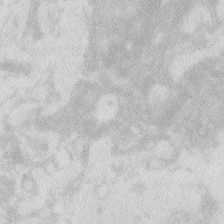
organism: Zebrafish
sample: Macrophage